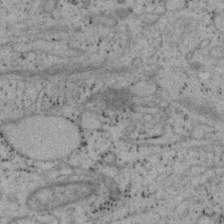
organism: Human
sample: HeLa cells